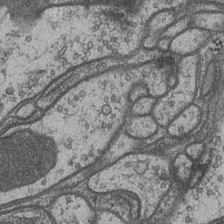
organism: Drosophila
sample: Optic medulla